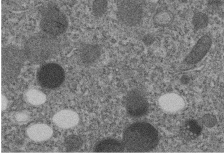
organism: C. elegans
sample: C. elegans embryo early stage